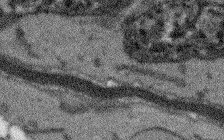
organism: Arabidopsis thaliana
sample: Root tip